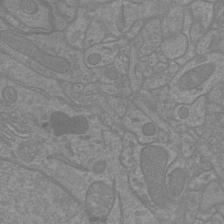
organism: Mouse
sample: Cortical neurons